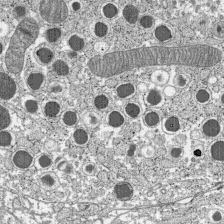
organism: C57BL Mouse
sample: Pancreatic islet